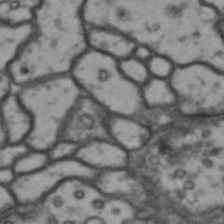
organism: Drosophila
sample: Brain